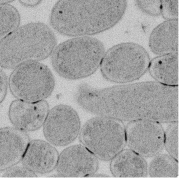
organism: E. coli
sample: Bacterial nucleoid